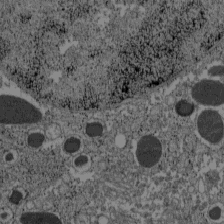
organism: C57BL Mouse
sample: Pancreatic islet